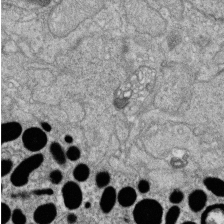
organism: Zebrafish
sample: Cilia; retinal pigment epithelium